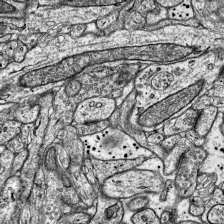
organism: Mouse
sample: Visual Cortex